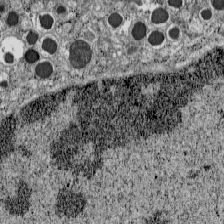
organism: C57BL Mouse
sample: Pancreatic islet